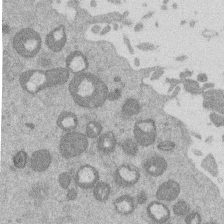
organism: Mouse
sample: Dividing mouse embryo 1 cell stage